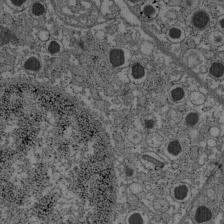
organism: C57BL Mouse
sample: Pancreatic islet